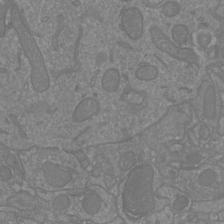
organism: Mouse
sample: Cortical neurons